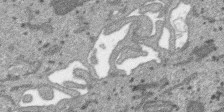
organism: Human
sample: Lung epithelial cells infected with SARS-CoV-2